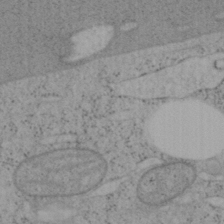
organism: Mouse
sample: OT-I killer T cells with ID8 ovarian cancer cells